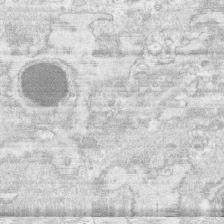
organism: Human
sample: CRL-1474